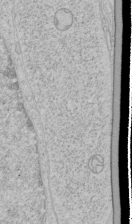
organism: Human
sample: Mitochondria in HCT116 cells